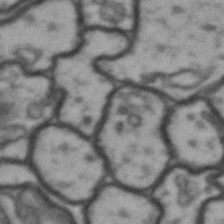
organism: Drosophila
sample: Brain